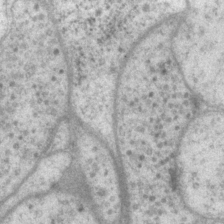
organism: P. pacificus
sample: Pharynx